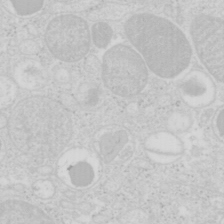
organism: Mouse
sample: Pancreas